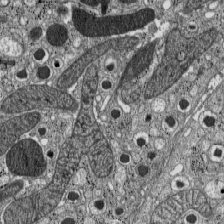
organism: C57BL Mouse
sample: Pancreatic islet